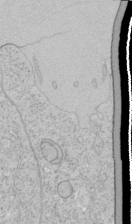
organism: Human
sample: Mitochondria in HCT116 cells